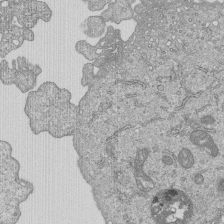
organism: Human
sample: MDA-MB-231 cells